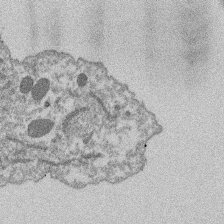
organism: Dictyostelium discoideum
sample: Dictyostelium multivesicular bodies